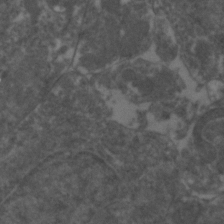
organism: Zebrafish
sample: Zebrafish embryo